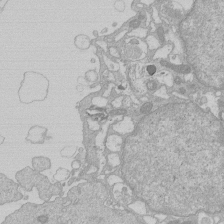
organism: Human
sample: Macrophage cells